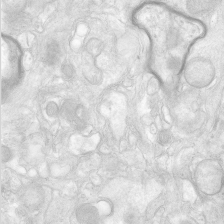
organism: Human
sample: Neocortex